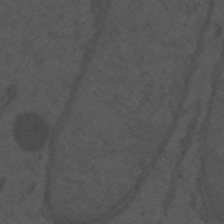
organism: Mouse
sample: Suprachiasmatic nucleus